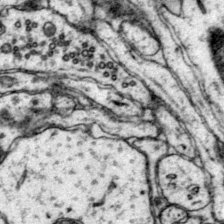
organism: Mouse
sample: Primary visual cortex